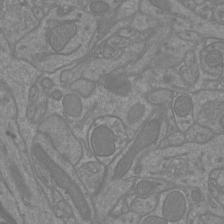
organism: Mouse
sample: Cortical neurons